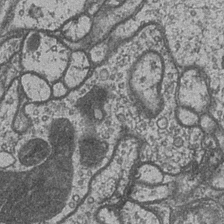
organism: Drosophila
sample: Optic medulla